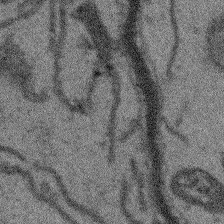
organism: Arabidopsis thaliana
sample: Root tip